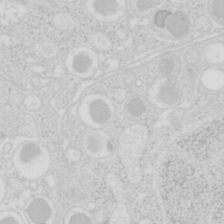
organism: Mouse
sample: Pancreas